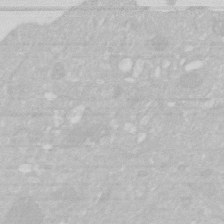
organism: Human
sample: HIV infected U937 cells